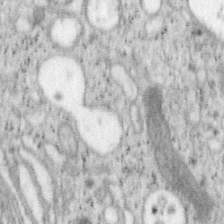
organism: Mouse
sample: OT-I killer T cells with ID8 ovarian cancer cells